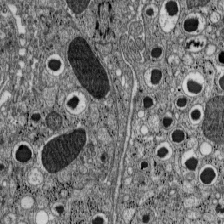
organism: C57BL Mouse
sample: Pancreatic islet